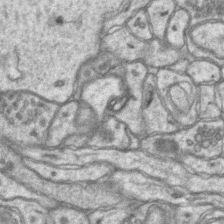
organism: Mouse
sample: CA1 Hippocampus